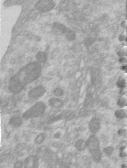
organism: Human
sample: Centriole in RPE cells